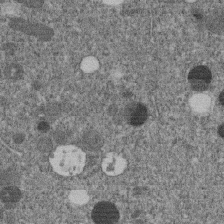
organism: C. elegans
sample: C. elegans embryo early stage